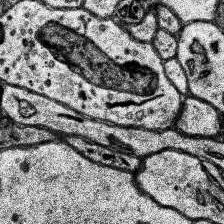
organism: Human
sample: Temporal Lobe